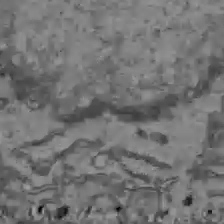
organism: C57BL Mouse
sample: Liver